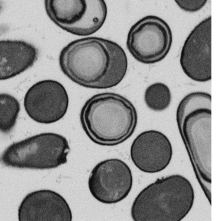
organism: B. subtilis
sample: Bacterial spore